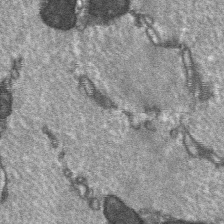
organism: C57BL Mouse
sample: Soleus